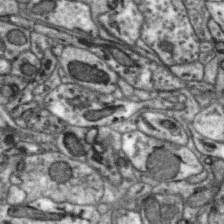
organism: Zebra finch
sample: Brain